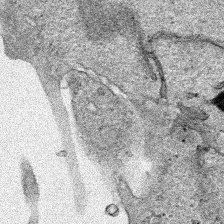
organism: Human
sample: Mitochondria in HCT116 cells